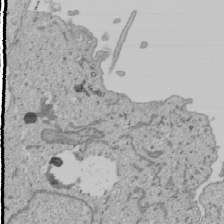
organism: Human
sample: Mitochondria in U2OS cells